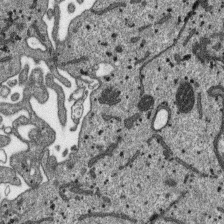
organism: Human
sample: Lung epithelial cells infected with SARS-CoV-2